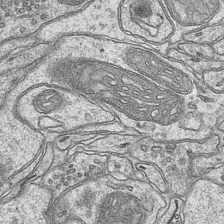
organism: Mouse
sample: CA1 Hippocampus